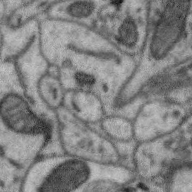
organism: Zebra finch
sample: Brain